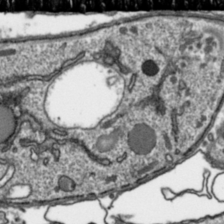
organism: Toxoplasma gondii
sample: Parasites in a vacuole inside a host cell